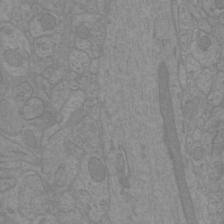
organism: Mouse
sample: Cortical neurons